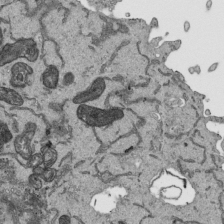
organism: Human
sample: Mitochondria in HCT116 cells